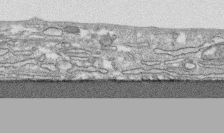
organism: Human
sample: CRL-1474